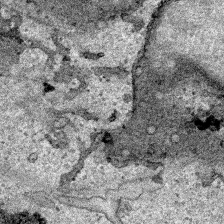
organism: Human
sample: Mitochondria in HCT116 cells